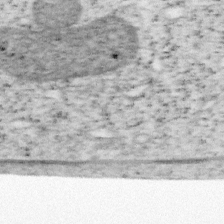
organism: Mouse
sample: OT-I killer T cells with ID8 ovarian cancer cells